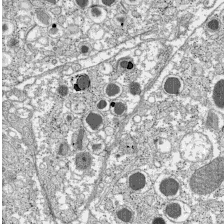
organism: C57BL Mouse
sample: Pancreatic islet